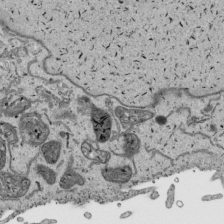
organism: Human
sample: Mitochondria in HCT116 cells